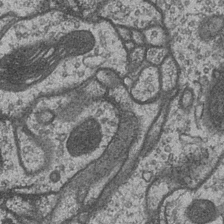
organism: Drosophila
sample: Optic medulla